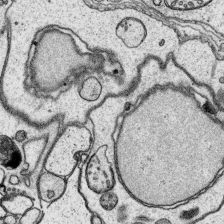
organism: Platynereis dumerilii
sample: Parapodia